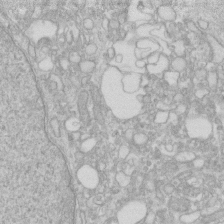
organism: Human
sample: Fibroblast cells